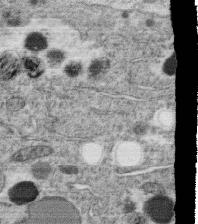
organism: C. elegans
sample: C. elegans oocyte; sperm cells